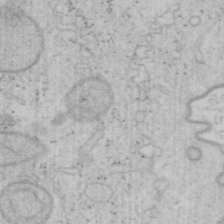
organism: Human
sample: HeLa cells